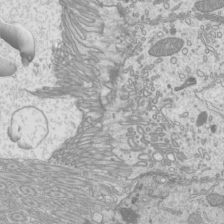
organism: Mouse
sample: Cilia; mouse epididymis